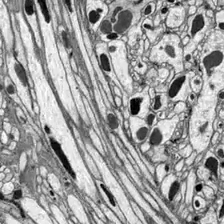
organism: Drosophila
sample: Optic lobe